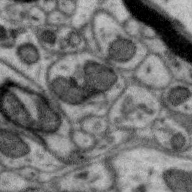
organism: Zebra finch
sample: Brain